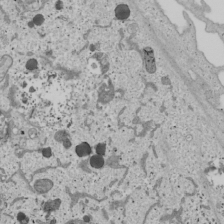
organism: Human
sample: Mitochondria in U2OS cells